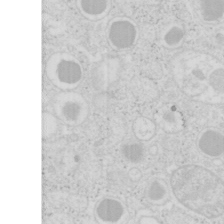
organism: Mouse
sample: Pancreas